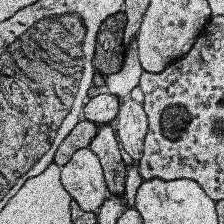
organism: Human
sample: Temporal Lobe